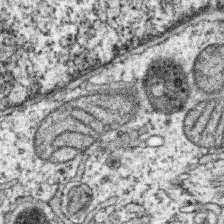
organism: Human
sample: HeLa cells